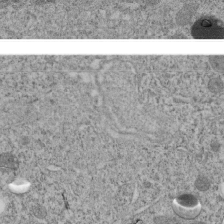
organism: C. elegans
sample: C. elegans embryo early stage